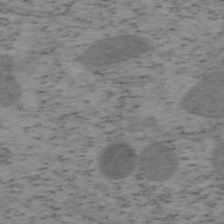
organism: Mouse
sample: OT-I killer T cells with ID8 ovarian cancer cells